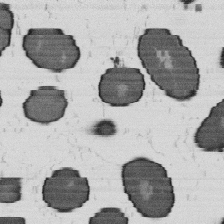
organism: B. subtilis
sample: Bacterial spore